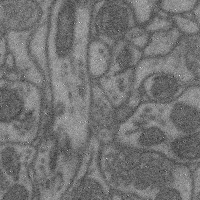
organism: Mouse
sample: Cerebral cortex